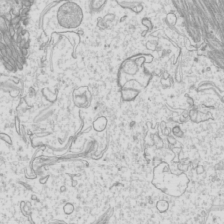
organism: Mouse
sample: Cilia; mouse epididymis